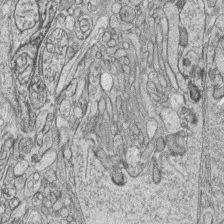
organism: Zebrafish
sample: synaptic ribbons in rod cells and cone cells